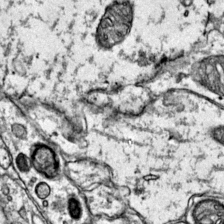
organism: Mouse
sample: Primary visual cortex